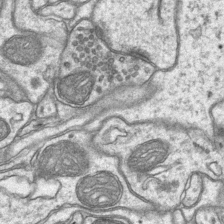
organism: Mouse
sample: CA1 Hippocampus